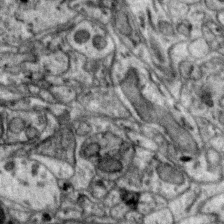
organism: Zebra finch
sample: Brain